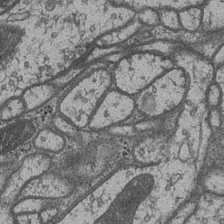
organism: Drosophila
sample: Optic medulla